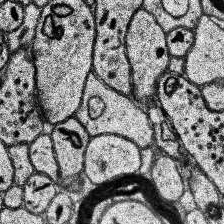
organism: Human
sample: Temporal Lobe